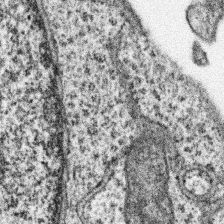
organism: Human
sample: HeLa cells